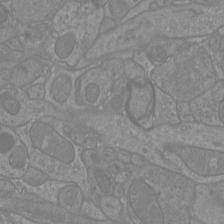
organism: Mouse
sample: Cortical neurons